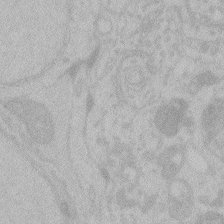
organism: Zebrafish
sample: Macrophage infected with Toxoplasma gondii